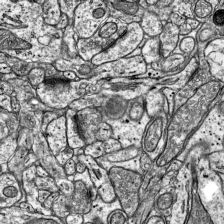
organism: Mouse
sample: Visual Cortex